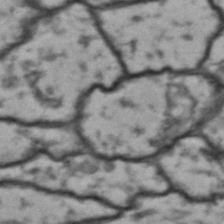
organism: Drosophila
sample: Brain